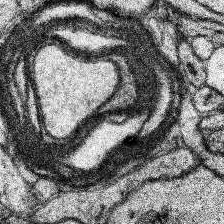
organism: Human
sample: Temporal Lobe